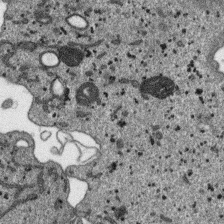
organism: Human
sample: Lung epithelial cells infected with SARS-CoV-2